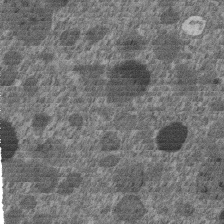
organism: C. elegans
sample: C. elegans embryo early stage